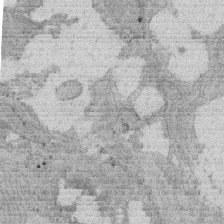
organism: Rat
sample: Salivary granule